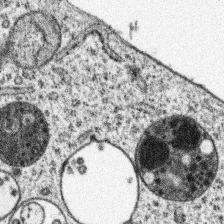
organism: Human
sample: HeLa cells